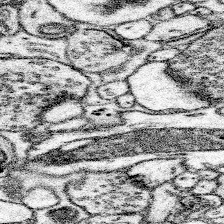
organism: Mouse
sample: Somatosensory cortex neuropil